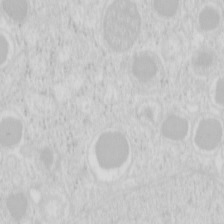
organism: Mouse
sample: Pancreas